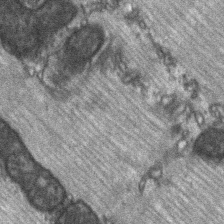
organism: C57BL Mouse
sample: Soleus